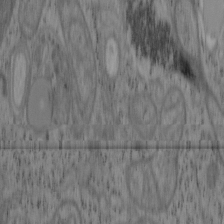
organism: Human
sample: HeLa cells